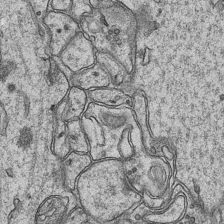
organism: Mouse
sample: CA1 Hippocampus